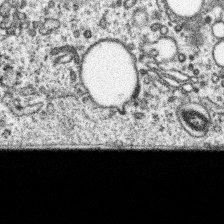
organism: Human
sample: HeLa cells